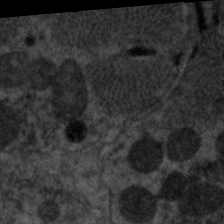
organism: C. elegans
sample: Pharynx